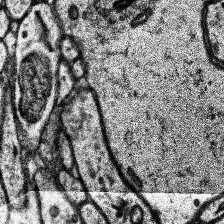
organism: Human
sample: Temporal Lobe